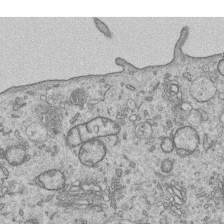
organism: Human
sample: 1205lu cells